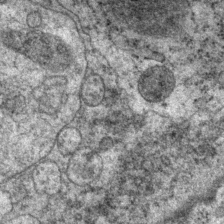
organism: P. pacificus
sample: Pharynx